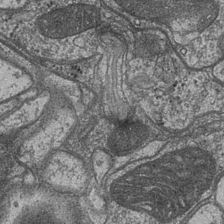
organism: Drosophila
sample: Optic medulla